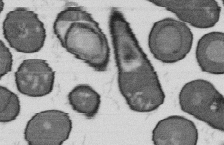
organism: B. subtilis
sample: Bacterial spore